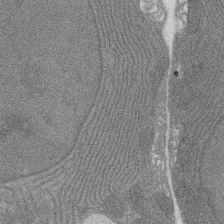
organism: Rat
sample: Salivary granule